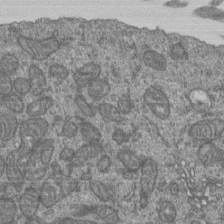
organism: Human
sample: Retinal organoid Rod and Cone cells